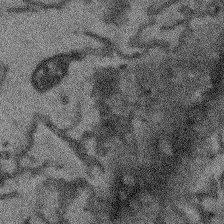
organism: Arabidopsis thaliana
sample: Root tip